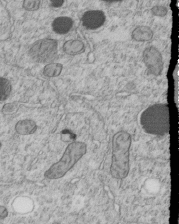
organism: C. elegans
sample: C. elegans embryo early stage